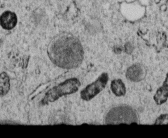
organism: C. elegans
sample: C. elegans embryo early stage